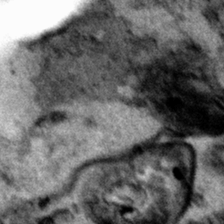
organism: Human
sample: Mitochondria in HCT116 cells